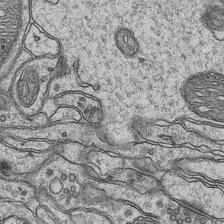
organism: Mouse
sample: CA1 Hippocampus